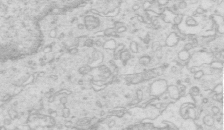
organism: Mouse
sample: Multiciliated cells